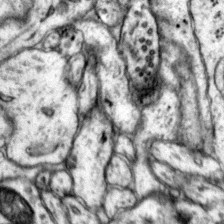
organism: Mouse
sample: Primary visual cortex